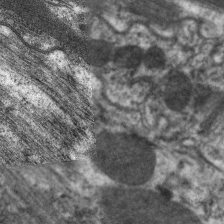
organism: C. elegans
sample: Pharynx